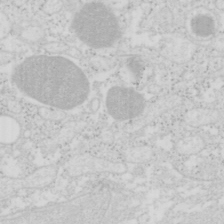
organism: Mouse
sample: Pancreas